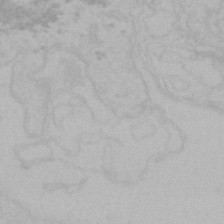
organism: Mouse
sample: Choroid plexus